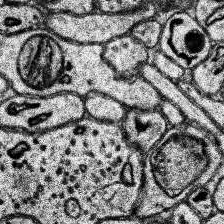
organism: Human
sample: Temporal Lobe